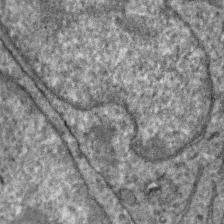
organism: Zebra finch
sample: Brain